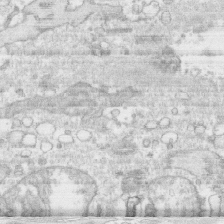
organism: Human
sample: CRL-1474